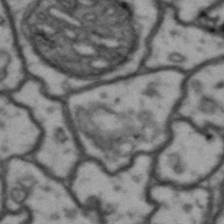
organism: Drosophila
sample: Brain